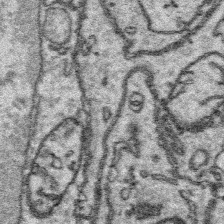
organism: Platynereis dumerilii